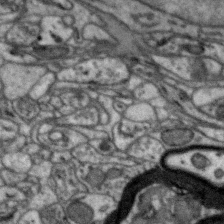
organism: Zebra finch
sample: Brain